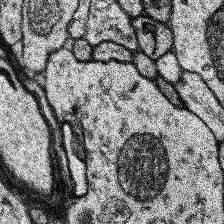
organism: Human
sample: Temporal Lobe